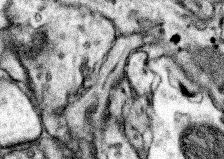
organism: Mouse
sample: Somatosensory cortex neuropil